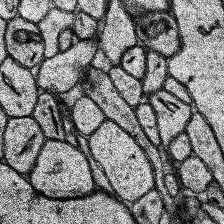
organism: Human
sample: Temporal Lobe